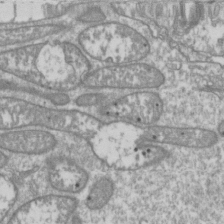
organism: Drosophila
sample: Cell division; meiosis; drosophila spermatocytes